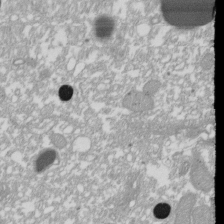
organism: Xenopus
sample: Cilia; centrioles in frog embryo cells